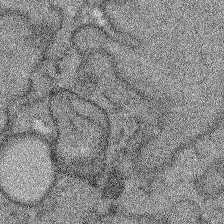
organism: Human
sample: HeLa cells